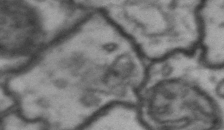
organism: Drosophila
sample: Brain